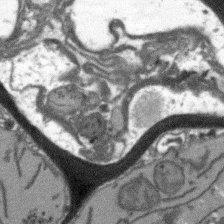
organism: Arabidopsis thaliana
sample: Root tip